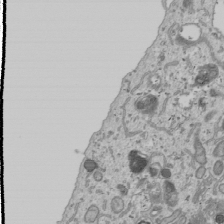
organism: Human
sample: Mitochondria in U2OS cells